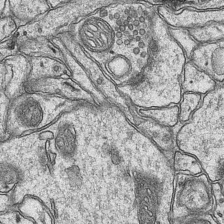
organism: Mouse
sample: CA1 Hippocampus